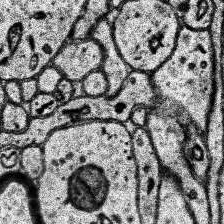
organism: Human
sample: Temporal Lobe